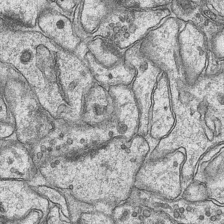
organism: Mouse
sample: CA1 Hippocampus